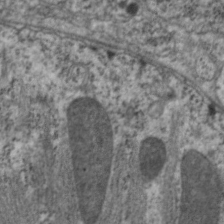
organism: C. elegans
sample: Pharynx